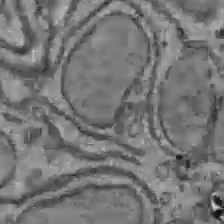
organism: C57BL Mouse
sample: Liver